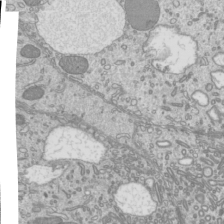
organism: Mouse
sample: Cilia; mouse epididymis